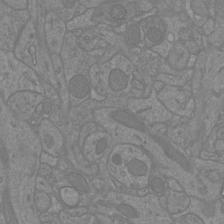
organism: Mouse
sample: Cortical neurons